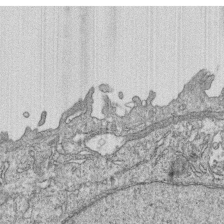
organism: Human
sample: HeLa cell HIV synapse